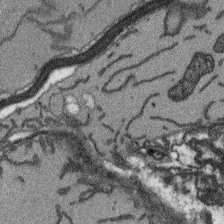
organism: Arabidopsis thaliana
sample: Root tip